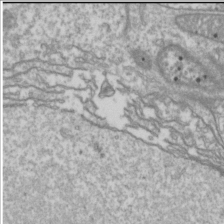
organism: Drosophila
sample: Cell division; meiosis; drosophila spermatocytes